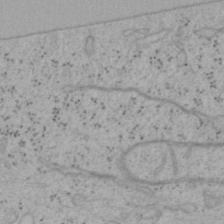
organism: Human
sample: HeLa cells